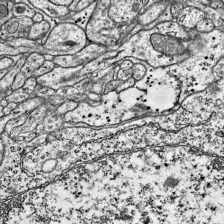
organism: Mouse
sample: Visual Cortex